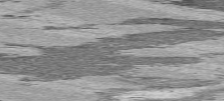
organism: C57BL Mouse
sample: Heart